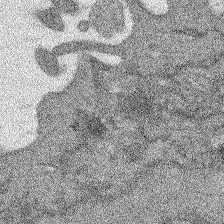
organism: Human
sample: HeLa cells